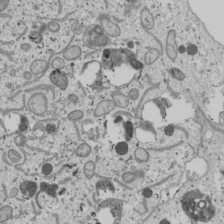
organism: Human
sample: Mitochondria in U2OS cells